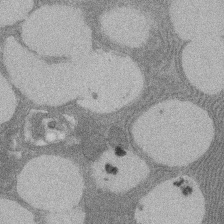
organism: Rat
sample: Salivary granule